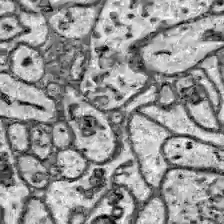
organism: Zebrafish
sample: Brain